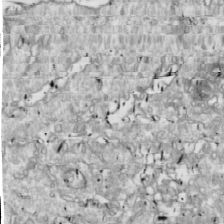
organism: Drosophila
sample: Cell division; meiosis; drosophila spermatocytes